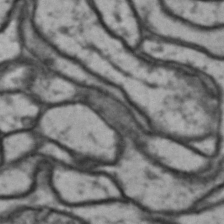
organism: Drosophila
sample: Brain